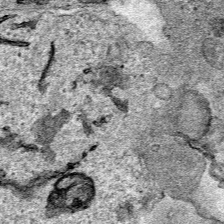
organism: Human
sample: Mitochondria in HCT116 cells